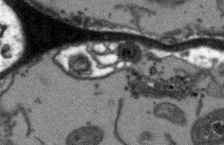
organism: Arabidopsis thaliana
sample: Root tip